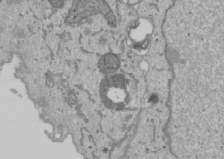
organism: Human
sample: Mitochondria in U2OS cells